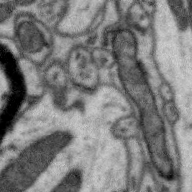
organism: Zebra finch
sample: Brain